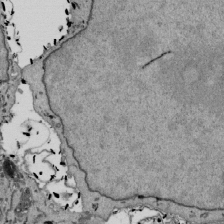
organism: Mouse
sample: ED-1 cell nuclei; centrioles